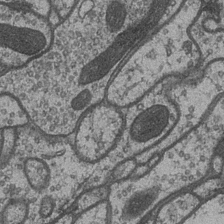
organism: Drosophila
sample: Optic medulla